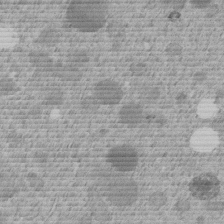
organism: C. elegans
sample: C. elegans embryo early stage